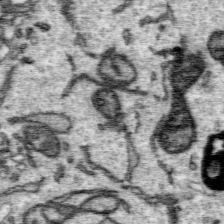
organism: Human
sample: HeLa cells